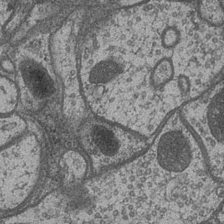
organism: Drosophila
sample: Optic medulla